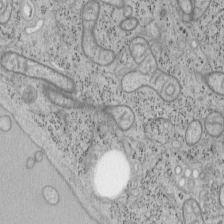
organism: Mouse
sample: OT-I killer T cells with ID8 ovarian cancer cells